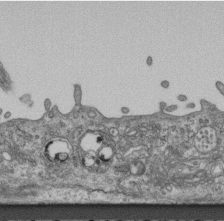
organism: Mouse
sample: Centriole in ependymal cells